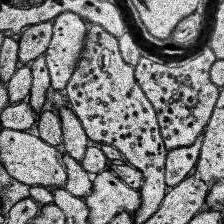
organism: Human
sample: Temporal Lobe